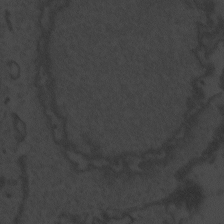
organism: Zebrafish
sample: Macrophage infected with Toxoplasma gondii